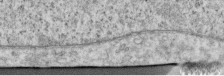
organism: Human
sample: Centriole in RPE cells